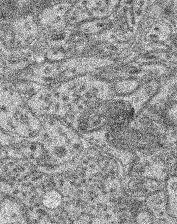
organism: Mouse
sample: Retina